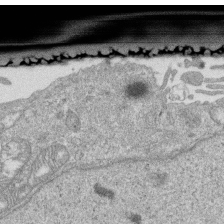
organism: Human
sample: HeLa cell HIV synapse